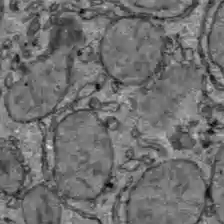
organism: C57BL Mouse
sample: Liver